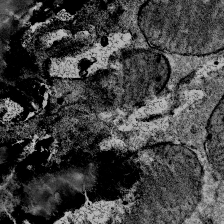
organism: Mouse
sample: Mouse Salivary gland